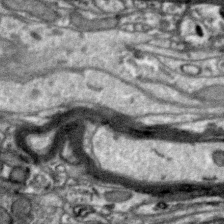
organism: Zebra finch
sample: Brain